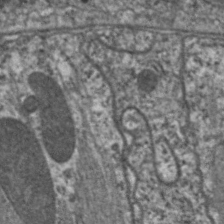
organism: C. elegans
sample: Pharynx